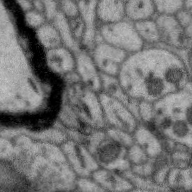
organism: Zebra finch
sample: Brain